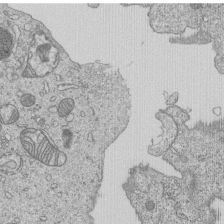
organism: Human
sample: MDA-MB-231 cells